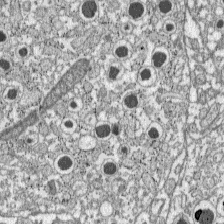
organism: C57BL Mouse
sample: Pancreatic islet